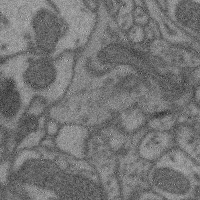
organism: Mouse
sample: Cerebral cortex